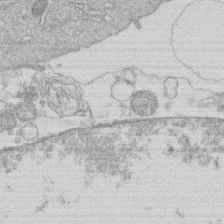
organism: Human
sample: Macrophage cells